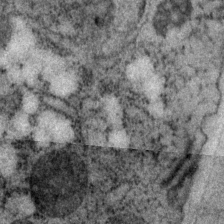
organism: P. pacificus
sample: Pharynx